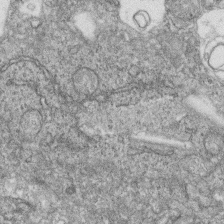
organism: Zebrafish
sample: Cilia; retinal pigment epithelium